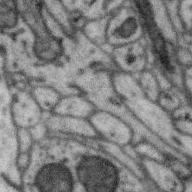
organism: Zebra finch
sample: Brain